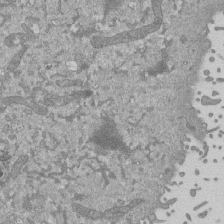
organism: Mouse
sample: ED-1 cell nuclei; centrioles